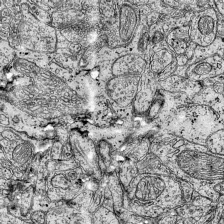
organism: Mouse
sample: Visual Cortex